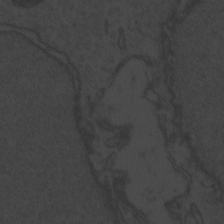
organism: Zebrafish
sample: Macrophage infected with Toxoplasma gondii